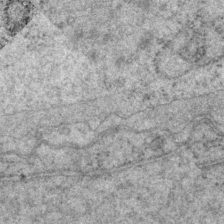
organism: P. pacificus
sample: Pharynx